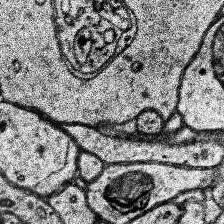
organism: Human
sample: Temporal Lobe